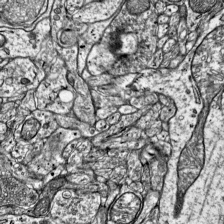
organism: Mouse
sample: Visual Cortex